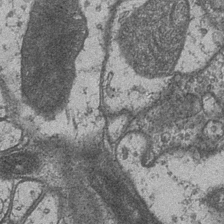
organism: Drosophila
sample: Optic medulla